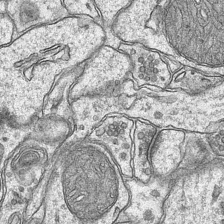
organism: Mouse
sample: CA1 Hippocampus